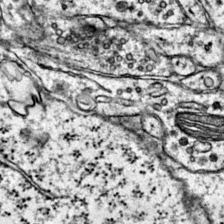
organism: Mouse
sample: Primary visual cortex